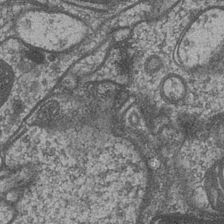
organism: Drosophila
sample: Optic medulla